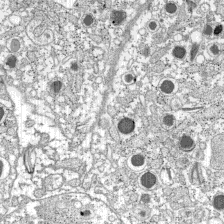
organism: C57BL Mouse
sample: Pancreatic islet